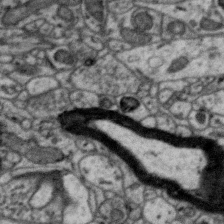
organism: Zebra finch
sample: Brain